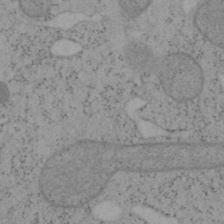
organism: Mouse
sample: OT-I killer T cells with ID8 ovarian cancer cells